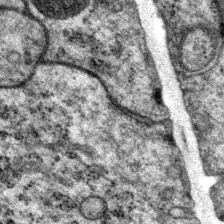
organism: P. pacificus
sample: Pharynx